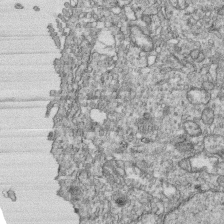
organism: Human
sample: HeLa cell HIV synapse